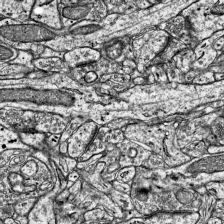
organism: Mouse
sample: Visual Cortex